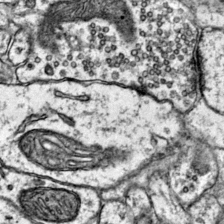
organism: Mouse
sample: Primary visual cortex